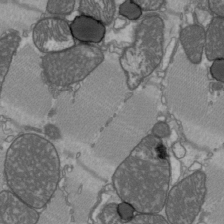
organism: C57BL Mouse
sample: Heart